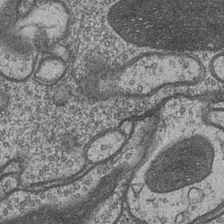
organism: Drosophila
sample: Optic medulla